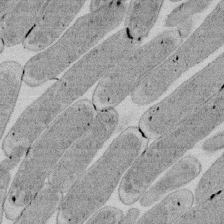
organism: E. coli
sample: Bacterial nucleoid